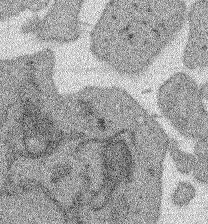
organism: Human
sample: HeLa cells